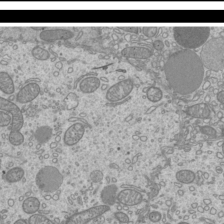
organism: Mouse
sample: Cilia; mouse epididymis